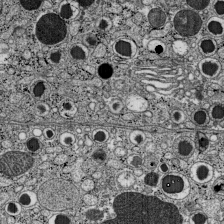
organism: C57BL Mouse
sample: Pancreatic islet